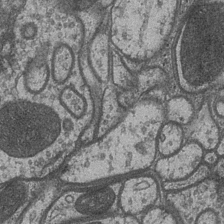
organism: Drosophila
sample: Optic medulla